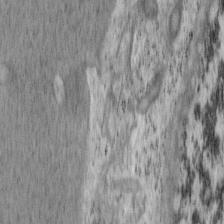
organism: Human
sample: HeLa cells